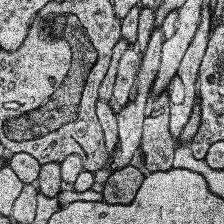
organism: Human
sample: Temporal Lobe